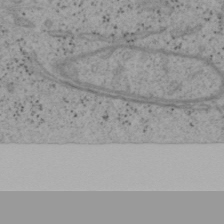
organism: Human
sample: HeLa cells